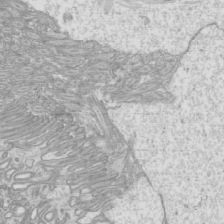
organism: Mouse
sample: Cilia; mouse epididymis